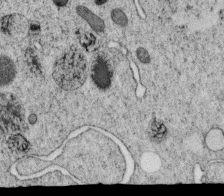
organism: C. elegans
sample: C. elegans oocyte; sperm cells